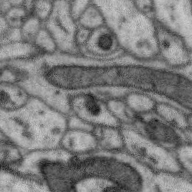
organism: Zebra finch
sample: Brain